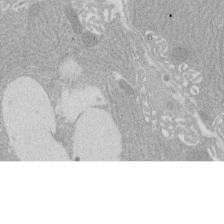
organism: Rat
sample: Salivary granule